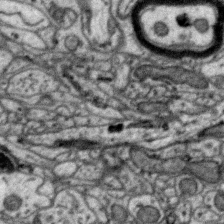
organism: Zebra finch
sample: Brain